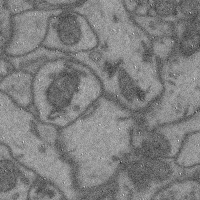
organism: Mouse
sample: Cerebral cortex